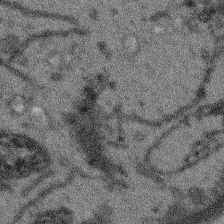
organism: Arabidopsis thaliana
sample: Root tip